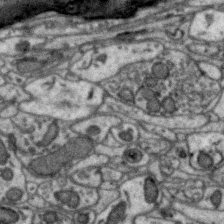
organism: Zebra finch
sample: Brain